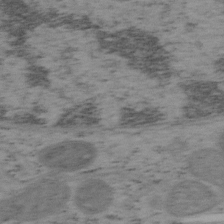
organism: Mouse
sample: OT-I killer T cells with ID8 ovarian cancer cells